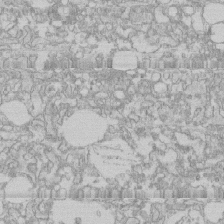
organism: Human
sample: CRL-1474